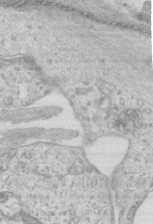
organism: Mouse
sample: Centriole in ependymal cells